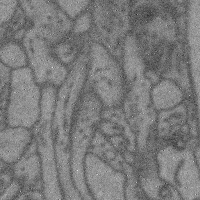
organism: Mouse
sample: Cerebral cortex